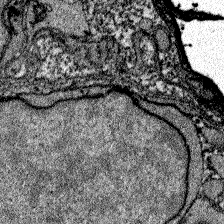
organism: Zebrafish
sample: Larval olfactory bulb